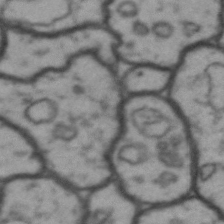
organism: Drosophila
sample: Brain